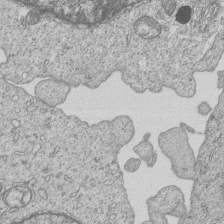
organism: Human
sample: MDA-MB-231 cells